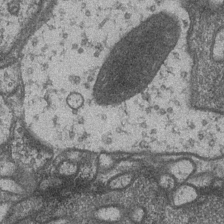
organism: Drosophila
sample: Optic medulla